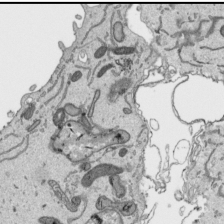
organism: Human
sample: Mitochondria in HCT116 cells